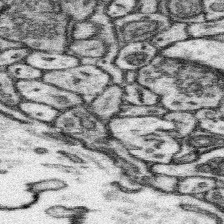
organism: Mouse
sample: Somatosensory cortex neuropil